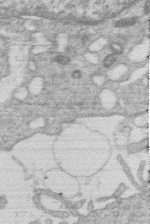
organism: Human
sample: Macrophage cells